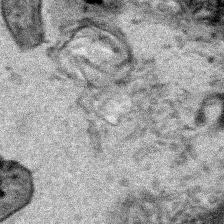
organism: Human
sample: Mitochondria in HCT116 cells